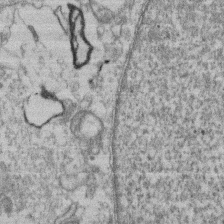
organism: Mouse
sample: T cell stromal cell synapse